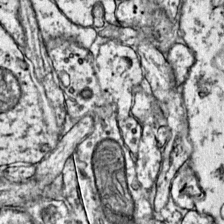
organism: Mouse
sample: Primary visual cortex